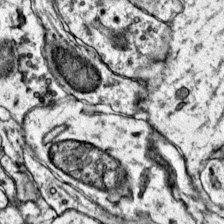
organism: Mouse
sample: Primary visual cortex